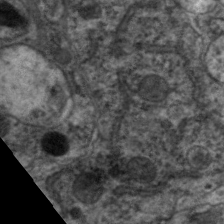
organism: C. elegans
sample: Pharynx